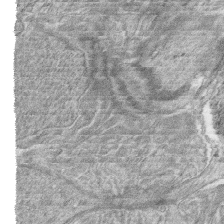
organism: Zebrafish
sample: synaptic ribbons in rod cells and cone cells